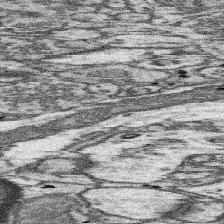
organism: Mouse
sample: Somatosensory cortex neuropil